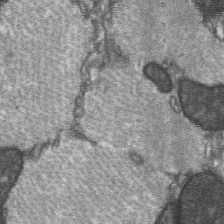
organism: C57BL Mouse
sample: Soleus